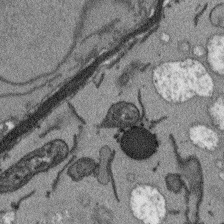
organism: Arabidopsis thaliana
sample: Root tip